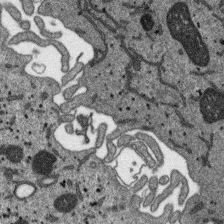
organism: Human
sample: Lung epithelial cells infected with SARS-CoV-2